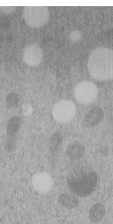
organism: C. elegans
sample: C. elegans embryo early stage